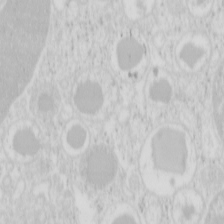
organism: Mouse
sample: Pancreas